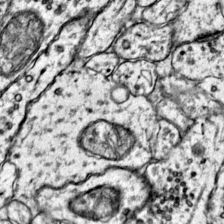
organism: Mouse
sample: Primary visual cortex